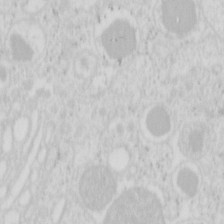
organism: Mouse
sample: Pancreas